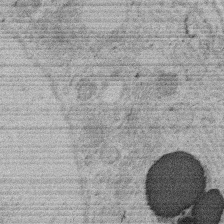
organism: Rat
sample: Salivary granule